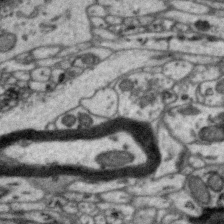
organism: Zebra finch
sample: Brain